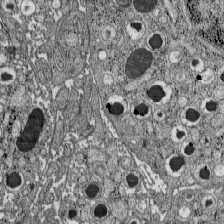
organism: C57BL Mouse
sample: Pancreatic islet